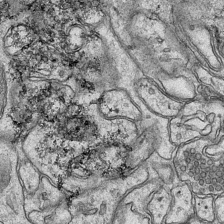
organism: Mouse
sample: CA1 Hippocampus